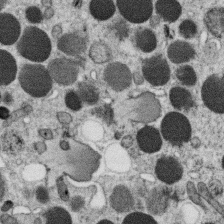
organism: C. elegans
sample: C. elegans oocyte; sperm cells